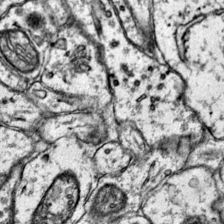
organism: Mouse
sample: Primary visual cortex